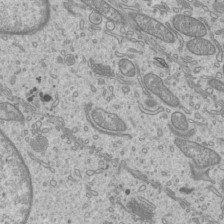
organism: Mouse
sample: Cilia; mouse epididymis